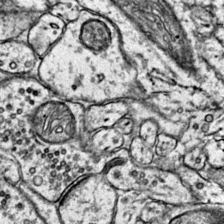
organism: Mouse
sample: Primary visual cortex